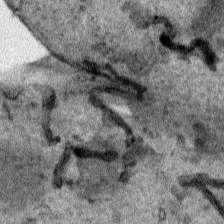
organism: Human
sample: Mitochondria in HCT116 cells